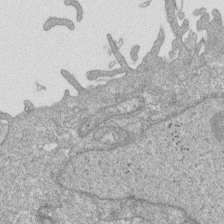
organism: Human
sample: HeLa cell HIV synapse